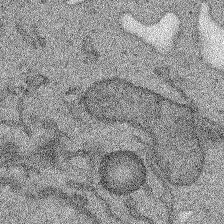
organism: Human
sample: HeLa cells